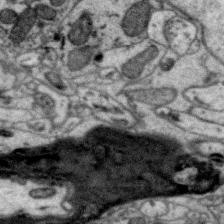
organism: Zebra finch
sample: Brain